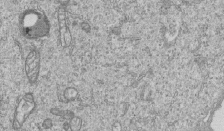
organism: Human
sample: MDA-MB-231 cells